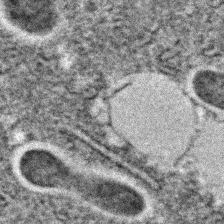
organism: C. elegans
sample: C. elegans embryo